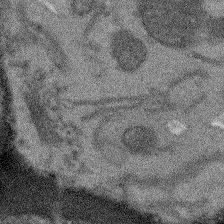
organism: Arabidopsis thaliana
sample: Root tip